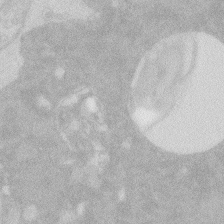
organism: Zebrafish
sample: Macrophage